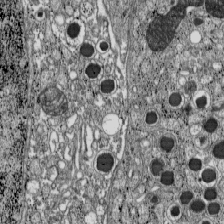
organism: C57BL Mouse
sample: Pancreatic islet